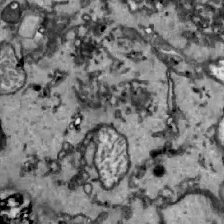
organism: Zebrafish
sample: Actinotrichia fibers